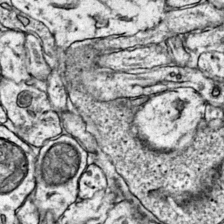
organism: Mouse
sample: Primary visual cortex